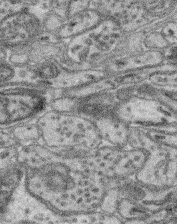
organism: Mouse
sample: Retina